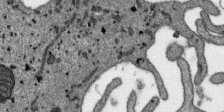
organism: Human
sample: Lung epithelial cells, uninfected (mock) control